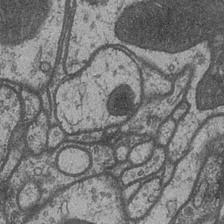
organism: Drosophila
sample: Optic medulla